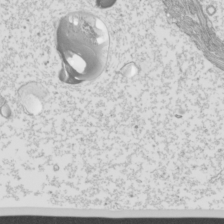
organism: Mouse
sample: Cilia; mouse epididymis